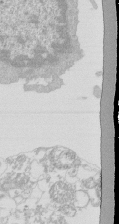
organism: Mouse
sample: Activated Pmel transgenic CD8+ T Cells